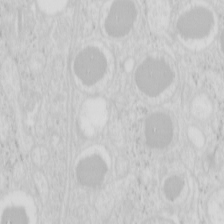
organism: Mouse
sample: Pancreas